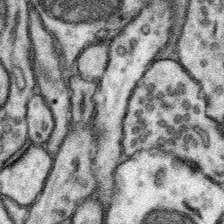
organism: Mouse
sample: Somatosensory cortex neuropil